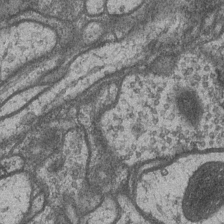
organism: Drosophila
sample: Optic medulla